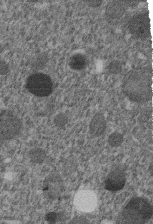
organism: C. elegans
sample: C. elegans embryo early stage